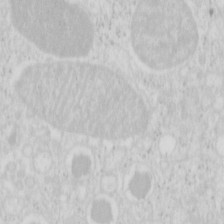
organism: Mouse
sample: Pancreas